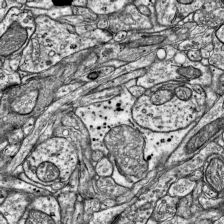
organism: Mouse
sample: Visual Cortex